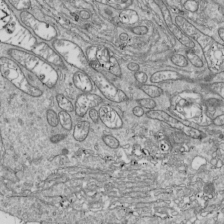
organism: Drosophila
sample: Cell division; meiosis; drosophila spermatocytes